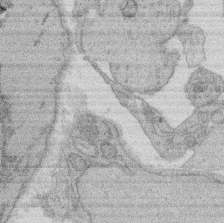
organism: Rat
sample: Salivary granule